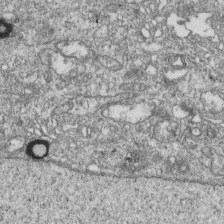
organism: Human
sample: HeLa cell HIV synapse